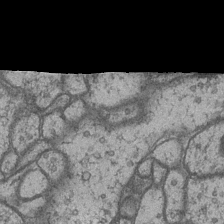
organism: Drosophila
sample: Optic medulla